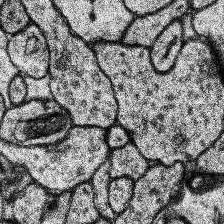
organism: Human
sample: Temporal Lobe